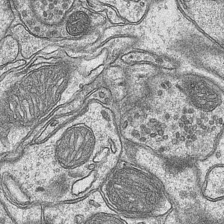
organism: Mouse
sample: CA1 Hippocampus